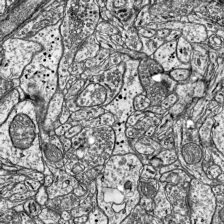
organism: Mouse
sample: Visual Cortex